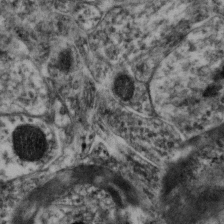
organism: Mouse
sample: Neocortex